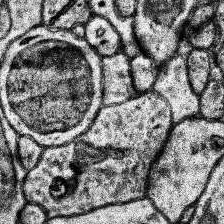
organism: Human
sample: Temporal Lobe